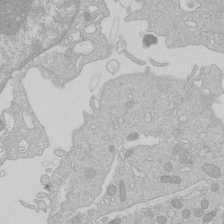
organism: Human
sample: Macrophage cells